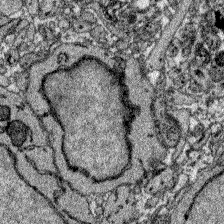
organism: Zebrafish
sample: Larval olfactory bulb